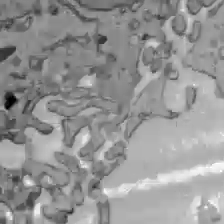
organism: C57BL Mouse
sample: Liver